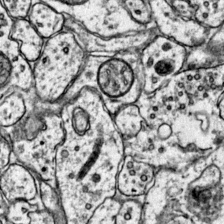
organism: Mouse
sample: Primary visual cortex